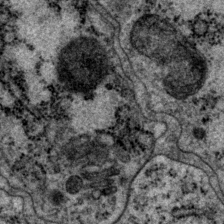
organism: P. pacificus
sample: Pharynx